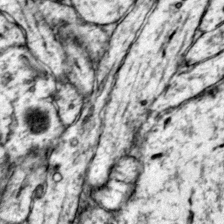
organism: Mouse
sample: Primary visual cortex